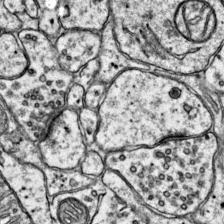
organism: Mouse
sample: Primary visual cortex